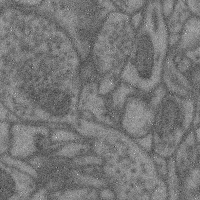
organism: Mouse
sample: Cerebral cortex